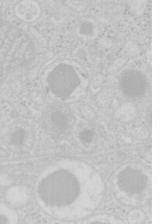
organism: Mouse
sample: Pancreas